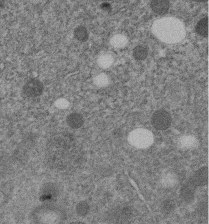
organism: C. elegans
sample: C. elegans embryo early stage